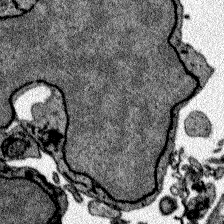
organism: Zebrafish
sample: Larval olfactory bulb